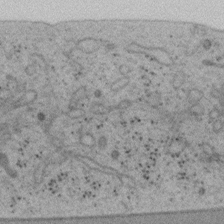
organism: Human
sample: HeLa cells